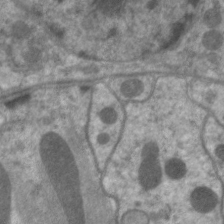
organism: C. elegans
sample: Pharynx